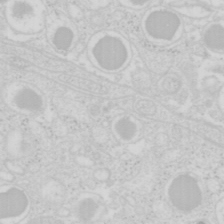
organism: Mouse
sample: Pancreas